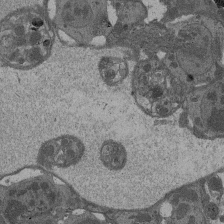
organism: Drosophila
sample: Antenna